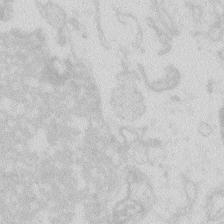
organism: Zebrafish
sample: Macrophage